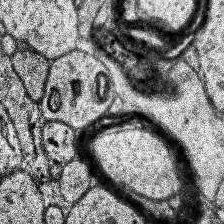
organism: Human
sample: Temporal Lobe